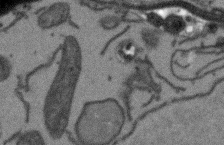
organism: Arabidopsis thaliana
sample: Root tip